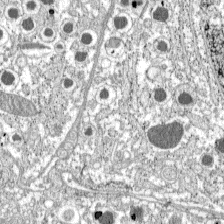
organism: C57BL Mouse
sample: Pancreatic islet